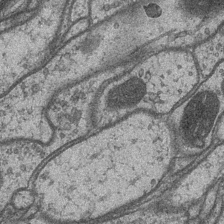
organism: Drosophila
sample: Optic medulla